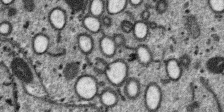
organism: Human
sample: Lung epithelial cells infected with SARS-CoV-2